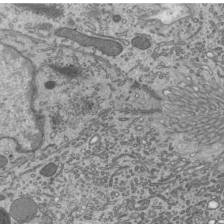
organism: Mouse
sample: Mouse epididymis efferent ductule cilia